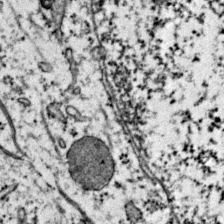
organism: Mouse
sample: Primary visual cortex